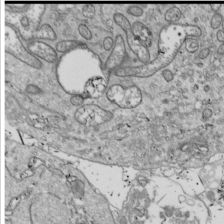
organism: Drosophila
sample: Cell division; meiosis; drosophila spermatocytes